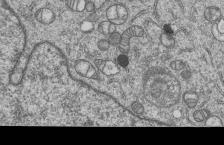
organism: Human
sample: MDA-MB-231 cells